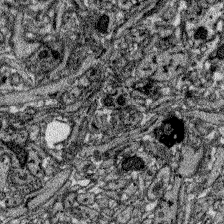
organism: Zebrafish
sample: Larval olfactory bulb